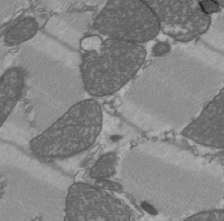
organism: C57BL Mouse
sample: Heart